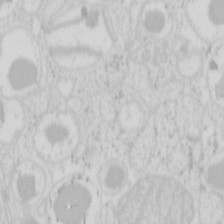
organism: Mouse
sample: Pancreas